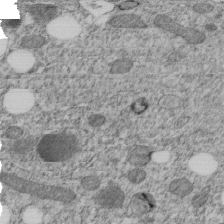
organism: C. elegans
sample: C. elegans embryo early stage